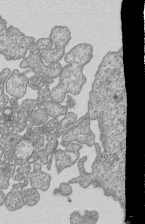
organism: Human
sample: MDA-MB-231 cells